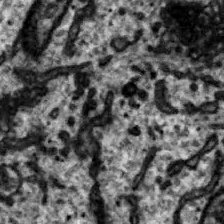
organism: Human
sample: HeLa cells